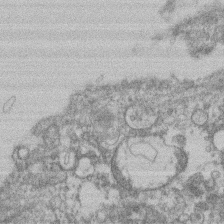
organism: Mouse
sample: T cell stromal cell synapse